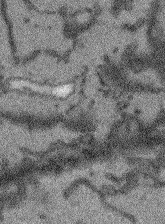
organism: Arabidopsis thaliana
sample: Root tip